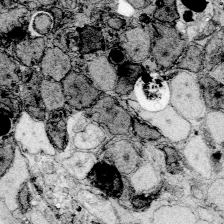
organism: Zebrafish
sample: Whole-Brain